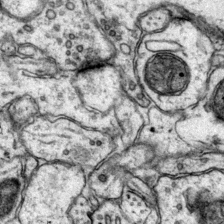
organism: Mouse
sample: Primary visual cortex